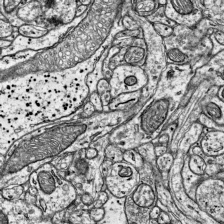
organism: Mouse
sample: Visual Cortex